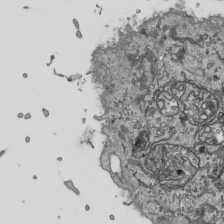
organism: Human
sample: Mitochondria in HCT116 cells